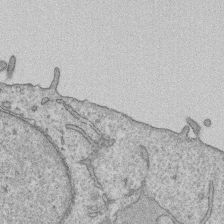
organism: Human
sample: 1205lu cells